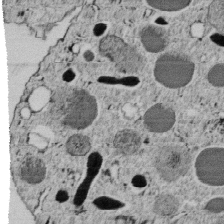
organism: C. elegans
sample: C. elegans embryo early stage